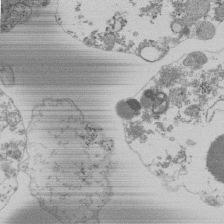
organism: Mouse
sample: Activated Pmel transgenic CD8+ T Cells